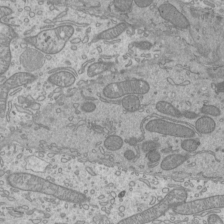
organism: Mouse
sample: Cilia; mouse epididymis